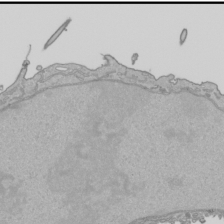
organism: Human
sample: Mitochondria in HCT116 cells